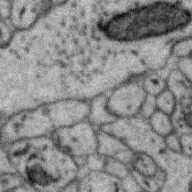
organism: Zebra finch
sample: Brain